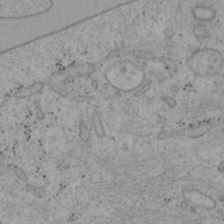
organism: Human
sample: HeLa cells